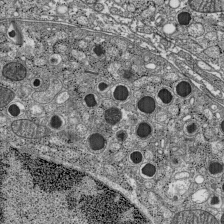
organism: C57BL Mouse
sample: Pancreatic islet